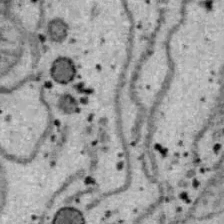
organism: Mouse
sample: Liver from an obese (ob/ob) mouse